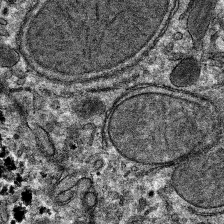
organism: Mouse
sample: Mouse hepatocytes